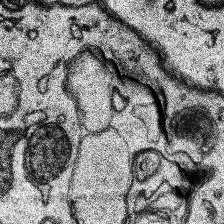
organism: Human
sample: Temporal Lobe